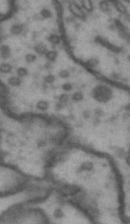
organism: Drosophila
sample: Brain